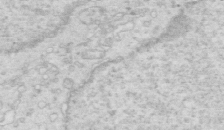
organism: Mouse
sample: Multiciliated cells